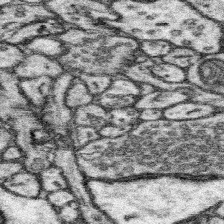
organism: Mouse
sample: Somatosensory cortex neuropil